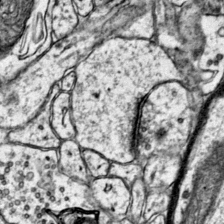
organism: Mouse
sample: Primary visual cortex